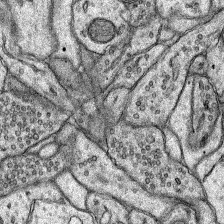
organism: Rat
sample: Hippocampus